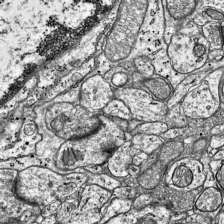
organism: Mouse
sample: Visual Cortex